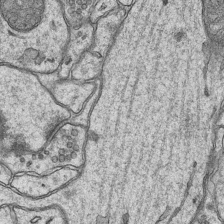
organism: Mouse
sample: CA1 Hippocampus